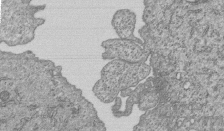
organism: Human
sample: MDA-MB-231 cells